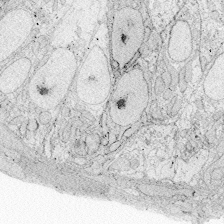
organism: Zebrafish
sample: Whole-Brain